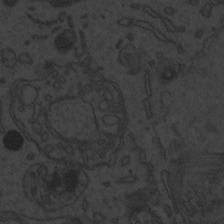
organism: Zebrafish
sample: Macrophage infected with Toxoplasma gondii